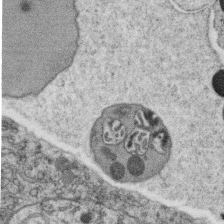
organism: C. elegans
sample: C. elegans oocyte; sperm cells